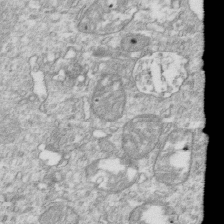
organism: Mouse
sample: Activated OT-1 CD8+ T cells